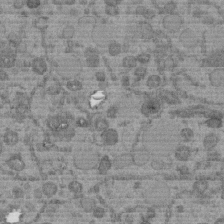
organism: C. elegans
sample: C. elegans embryo early stage